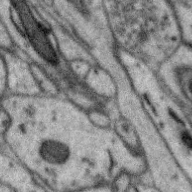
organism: Zebra finch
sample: Brain